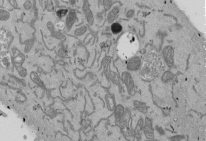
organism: Mouse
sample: ED-1 cell nuclei; centrioles